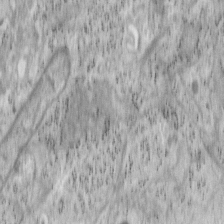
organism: Human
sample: HeLa cells